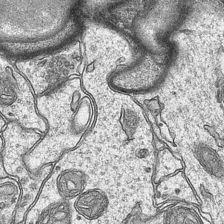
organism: Mouse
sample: CA1 Hippocampus